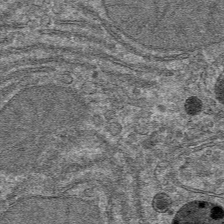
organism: Mouse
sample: Mouse hepatocytes